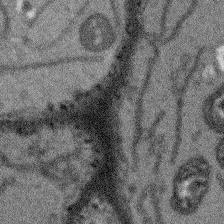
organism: Arabidopsis thaliana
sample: Root tip